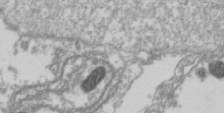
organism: Drosophila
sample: Cell division; meiosis; drosophila spermatocytes